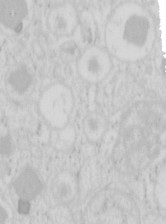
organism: Mouse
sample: Pancreas